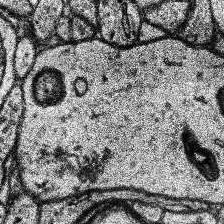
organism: Human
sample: Temporal Lobe